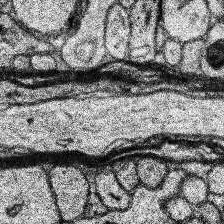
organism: Human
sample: Temporal Lobe